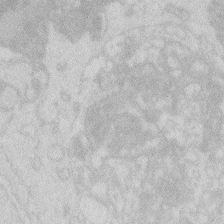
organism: Zebrafish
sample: Macrophage